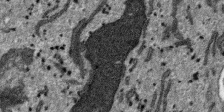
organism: Human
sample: Lung epithelial cells, uninfected (mock) control